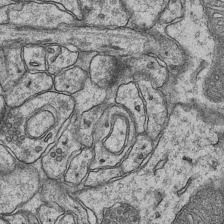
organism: Mouse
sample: CA1 Hippocampus